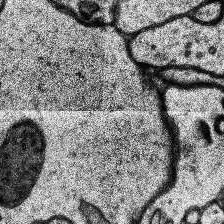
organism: Human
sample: Temporal Lobe